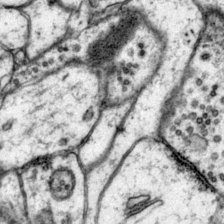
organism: Mouse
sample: Primary visual cortex